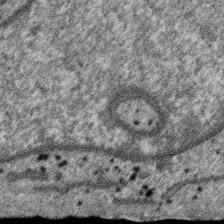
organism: Human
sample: Lung epithelial cells infected with SARS-CoV-2